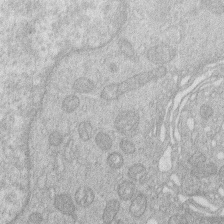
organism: Human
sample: Macrophage cells